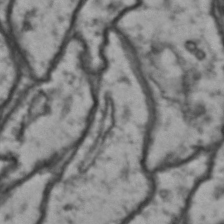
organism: Drosophila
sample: Brain